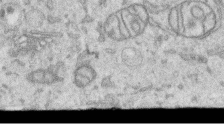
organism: Human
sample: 1205lu cells